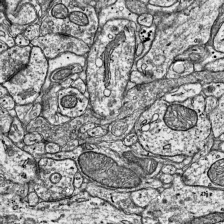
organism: Mouse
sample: Visual Cortex